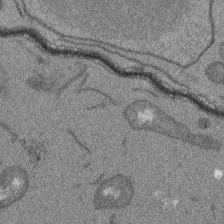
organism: Arabidopsis thaliana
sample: Root tip